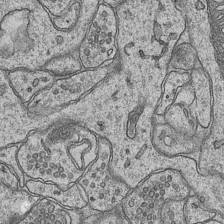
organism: Mouse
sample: CA1 Hippocampus